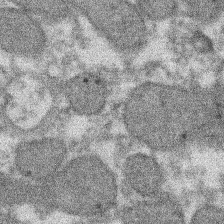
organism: Xenopus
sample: Cilia; centrioles in frog embryo cells